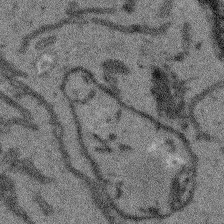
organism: Arabidopsis thaliana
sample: Root tip